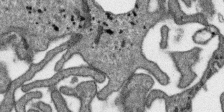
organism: Human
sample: Lung epithelial cells, uninfected (mock) control